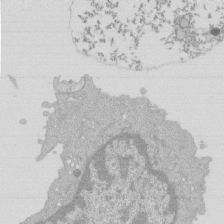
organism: Mouse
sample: Activated Pmel transgenic CD8+ T Cells